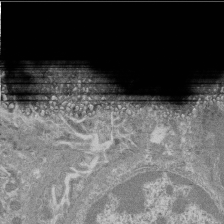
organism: Mouse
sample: Glomerulus